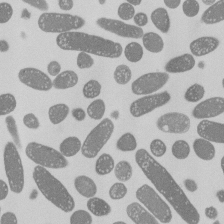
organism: E. coli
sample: Bacterial nucleoid